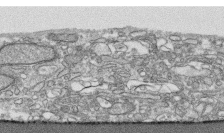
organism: Human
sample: CRL-1474